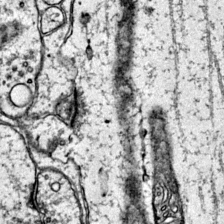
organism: Mouse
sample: Primary visual cortex